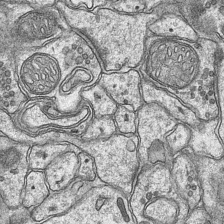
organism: Mouse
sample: CA1 Hippocampus